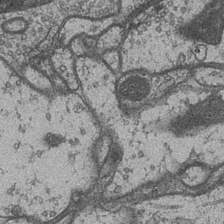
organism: Drosophila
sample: Optic medulla